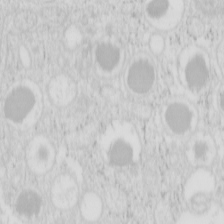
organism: Mouse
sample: Pancreas